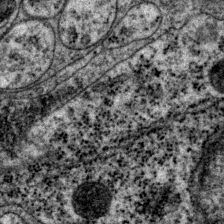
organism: P. pacificus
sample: Pharynx